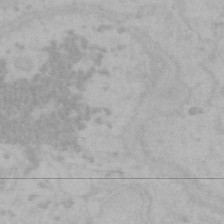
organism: Mouse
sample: Choroid plexus